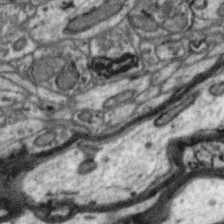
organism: Zebra finch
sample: Brain